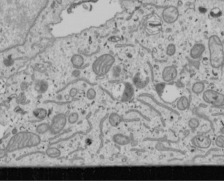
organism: Human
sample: Mitochondria in U2OS cells